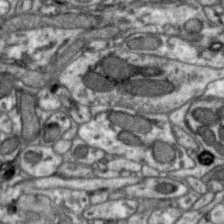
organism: Zebra finch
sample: Brain